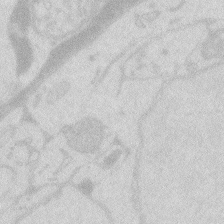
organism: Zebrafish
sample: Macrophage